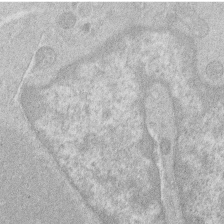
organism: Human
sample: Macrophage cells